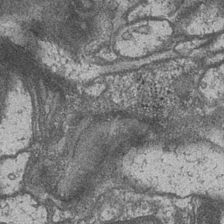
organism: Drosophila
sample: Optic medulla